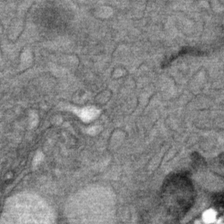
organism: Mouse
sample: Mouse Salivary gland